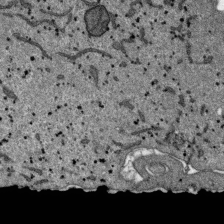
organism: Human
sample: Lung epithelial cells, uninfected (mock) control